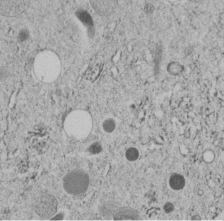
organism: C. elegans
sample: C. elegans embryo early stage